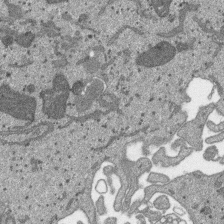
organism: Human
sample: Lung epithelial cells infected with SARS-CoV-2